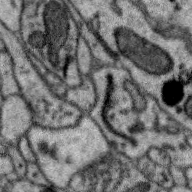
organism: Zebra finch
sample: Brain